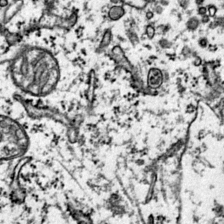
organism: Mouse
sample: Primary visual cortex